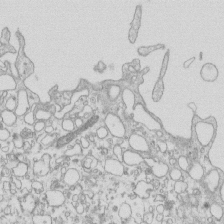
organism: Mouse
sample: Macrophages